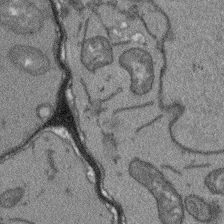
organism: Arabidopsis thaliana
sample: Root tip